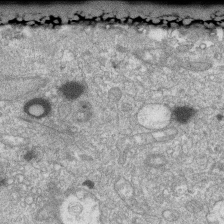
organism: Human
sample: HeLa cell HIV synapse